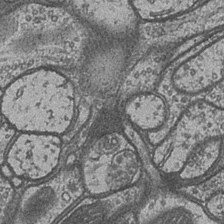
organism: Drosophila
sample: Optic medulla